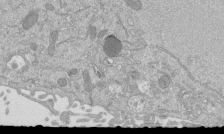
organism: Mouse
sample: ED-1 cell nuclei; centrioles